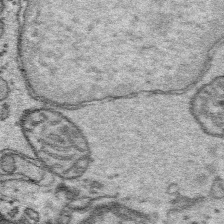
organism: Platynereis dumerilii